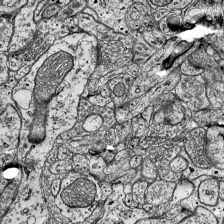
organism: Mouse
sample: Visual Cortex